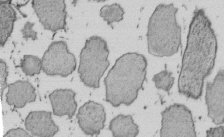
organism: E. coli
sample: Bacterial nucleoid